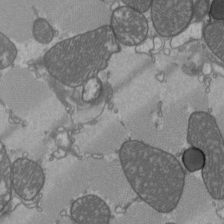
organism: C57BL Mouse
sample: Heart